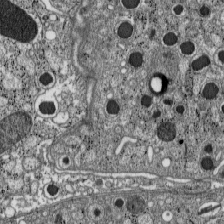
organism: C57BL Mouse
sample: Pancreatic islet